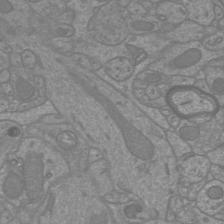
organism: Mouse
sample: Cortical neurons